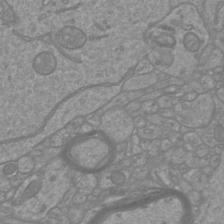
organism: Mouse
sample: Cortical neurons